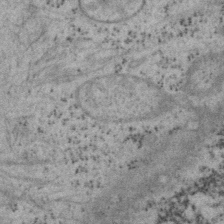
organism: Human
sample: HeLa cells